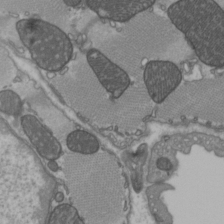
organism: C57BL Mouse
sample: Heart